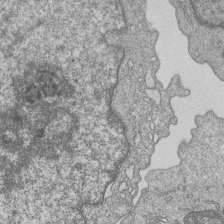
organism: Human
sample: MDA-MB-231 cells